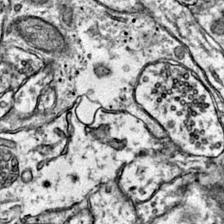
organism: Mouse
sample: Primary visual cortex